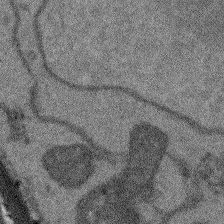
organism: Arabidopsis thaliana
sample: Root tip